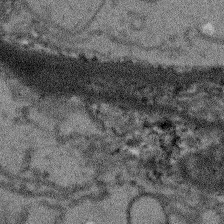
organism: Arabidopsis thaliana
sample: Root tip